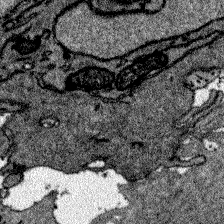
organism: Zebrafish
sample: Larval olfactory bulb